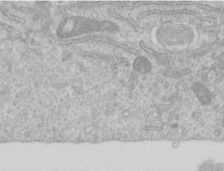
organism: Human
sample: Centriole in RPE cells